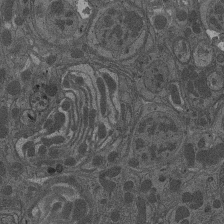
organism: Drosophila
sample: Antenna